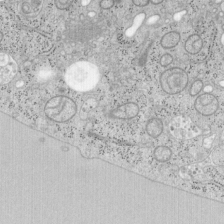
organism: Mouse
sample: OT-I killer T cells with ID8 ovarian cancer cells